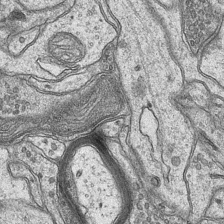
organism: Mouse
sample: CA1 Hippocampus